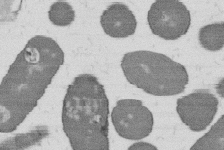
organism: B. subtilis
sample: Bacterial spore